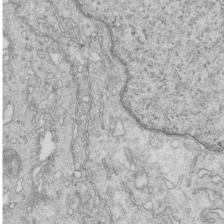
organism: Mouse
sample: Multiciliated cells